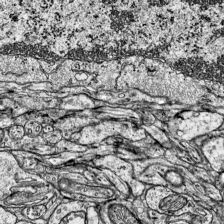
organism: Mouse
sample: Visual Cortex